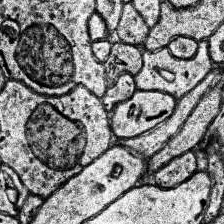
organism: Human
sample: Temporal Lobe